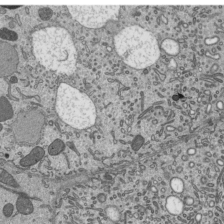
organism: Mouse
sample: Mouse epididymis efferent ductule cilia